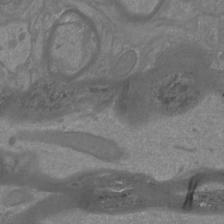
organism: Mouse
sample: Cortical neurons